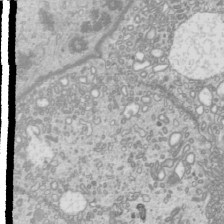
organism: Mouse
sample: Cilia; mouse epididymis